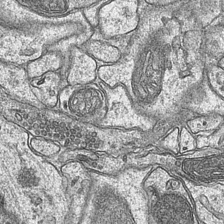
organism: Mouse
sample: CA1 Hippocampus